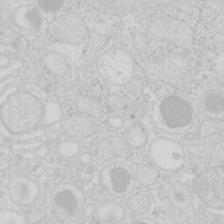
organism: Mouse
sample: Pancreas